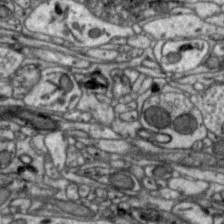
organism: Zebra finch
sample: Brain